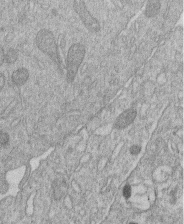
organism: Human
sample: Macrophage cells